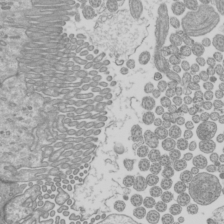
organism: Mouse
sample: Cilia; mouse epididymis